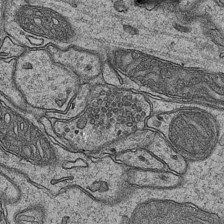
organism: Mouse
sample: CA1 Hippocampus